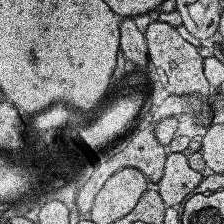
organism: Human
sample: Temporal Lobe